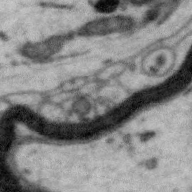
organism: Zebra finch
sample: Brain